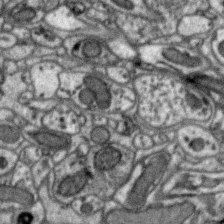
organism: Zebra finch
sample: Brain